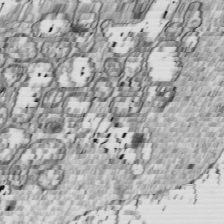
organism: Drosophila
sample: Cell division; meiosis; drosophila spermatocytes